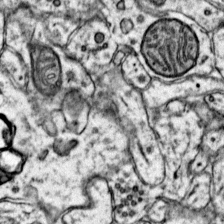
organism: Mouse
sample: Primary visual cortex